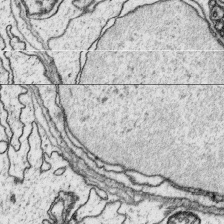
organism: Platynereis dumerilii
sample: Parapodia